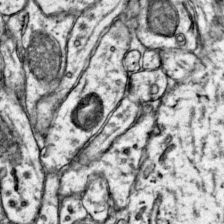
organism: Mouse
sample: Primary visual cortex